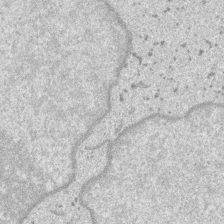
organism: Human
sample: Lung epithelial cells infected with SARS-CoV-2